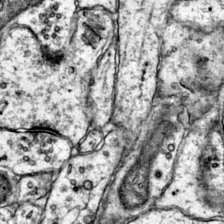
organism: Mouse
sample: Primary visual cortex